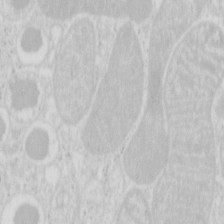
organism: Mouse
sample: Pancreas